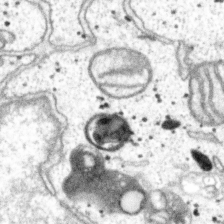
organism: Human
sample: HeLa cells